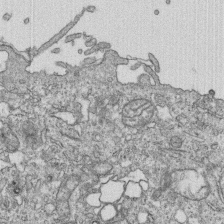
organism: Human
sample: HeLa cell HIV synapse